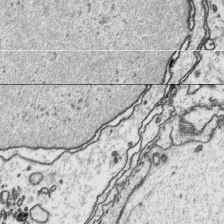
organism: Platynereis dumerilii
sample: Parapodia